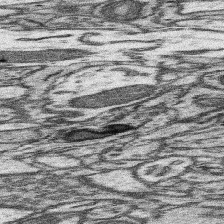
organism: Mouse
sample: Somatosensory cortex neuropil